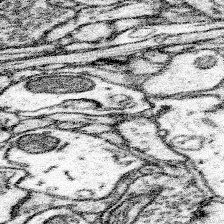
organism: Mouse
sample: Somatosensory cortex neuropil